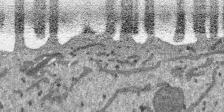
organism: Human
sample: Lung epithelial cells infected with SARS-CoV-2